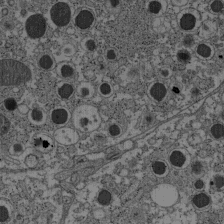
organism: C57BL Mouse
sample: Pancreatic islet